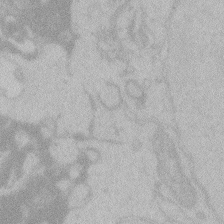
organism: Zebrafish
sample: Macrophage infected with Toxoplasma gondii